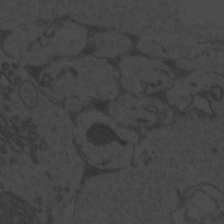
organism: Zebrafish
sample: Macrophage infected with Toxoplasma gondii